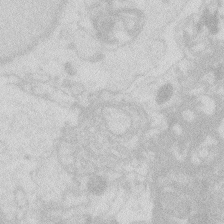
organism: Zebrafish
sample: Macrophage